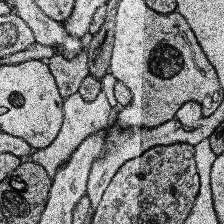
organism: Human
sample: Temporal Lobe